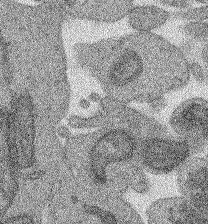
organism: Human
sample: HeLa cells